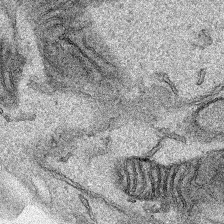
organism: Human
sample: Mitochondria in HCT116 cells